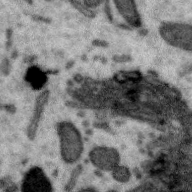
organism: Zebra finch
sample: Brain